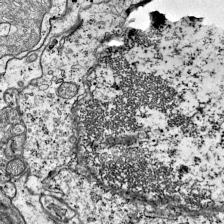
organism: Mouse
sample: Visual Cortex